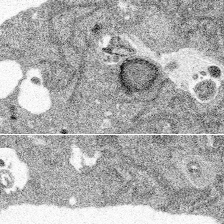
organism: Spongilla lacustris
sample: Multiple